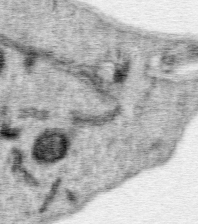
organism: Human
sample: HeLa cells